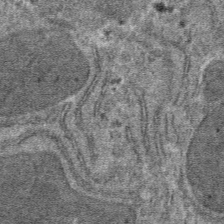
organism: Mouse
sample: Mouse hepatocytes